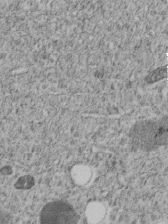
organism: C. elegans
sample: C. elegans embryo early stage